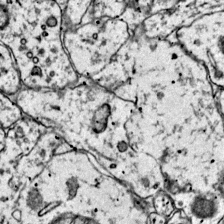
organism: Mouse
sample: Primary visual cortex